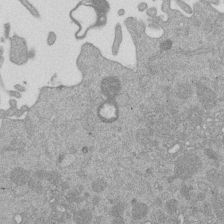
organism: Mouse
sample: Dividing mouse embryo 1 cell stage